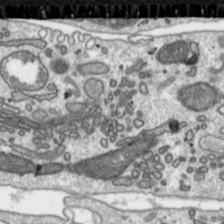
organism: Toxoplasma gondii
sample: Parasites in a vacuole inside a host cell